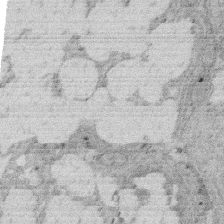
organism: Rat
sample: Salivary granule